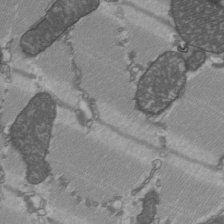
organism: C57BL Mouse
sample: Heart